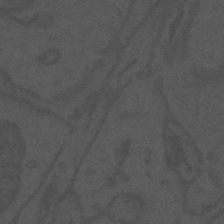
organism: Mouse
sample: Suprachiasmatic nucleus